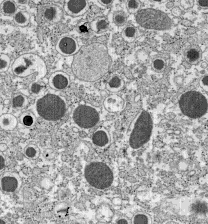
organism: C57BL Mouse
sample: Pancreatic islet